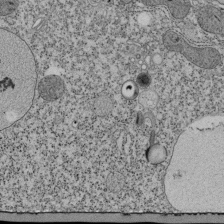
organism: Tetrahymena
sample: Cilia in tetrahymena